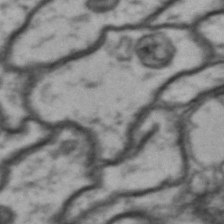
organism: Drosophila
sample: Brain